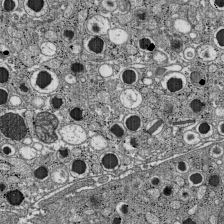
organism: C57BL Mouse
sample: Pancreatic islet